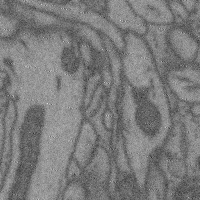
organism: Mouse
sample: Cerebral cortex